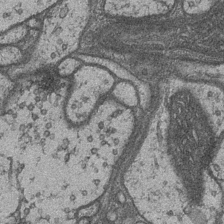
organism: Drosophila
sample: Optic medulla